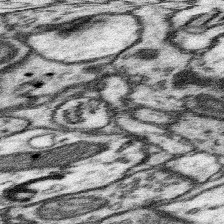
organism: Mouse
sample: Somatosensory cortex neuropil